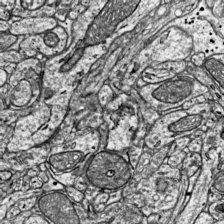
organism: Mouse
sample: Visual Cortex